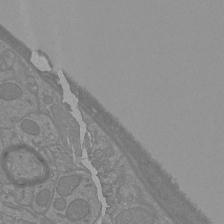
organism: Mouse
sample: Cortical neurons